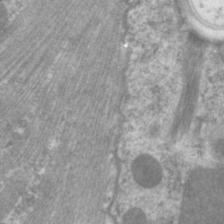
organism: C. elegans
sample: Pharynx